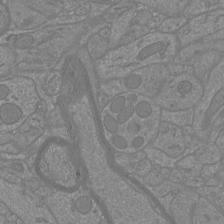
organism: Mouse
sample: Cortical neurons